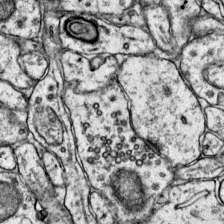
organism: Mouse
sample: Primary visual cortex